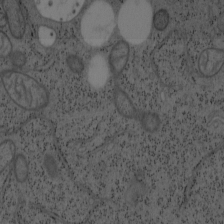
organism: Mouse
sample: OT-I killer T cells with ID8 ovarian cancer cells